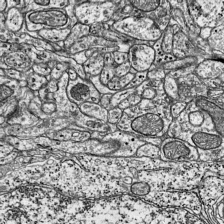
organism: Mouse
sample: Visual Cortex